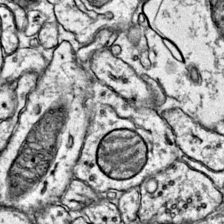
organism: Mouse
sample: Primary visual cortex